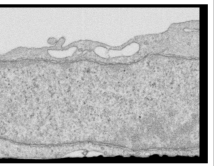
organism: Human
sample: Centriole in RPE cells